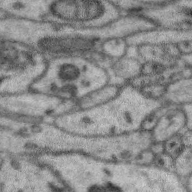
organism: Zebra finch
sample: Brain